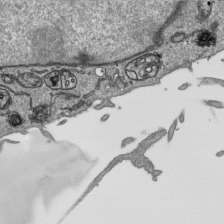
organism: Human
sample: Mitochondria in HCT116 cells